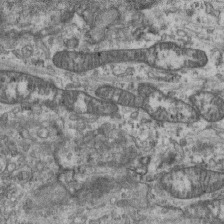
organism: Mouse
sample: Centriole in ependymal cells